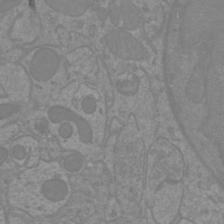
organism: Mouse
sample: Cortical neurons